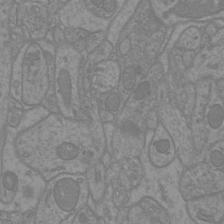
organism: Mouse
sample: Cortical neurons